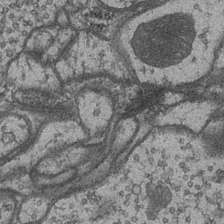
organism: Drosophila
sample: Optic medulla